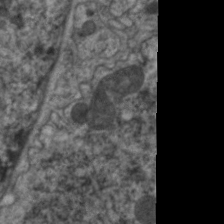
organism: C. elegans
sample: Pharynx